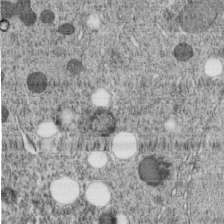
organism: C. elegans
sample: C. elegans embryo early stage